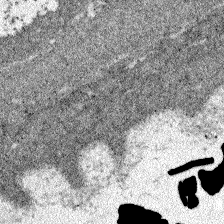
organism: Zebrafish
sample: Larval olfactory bulb